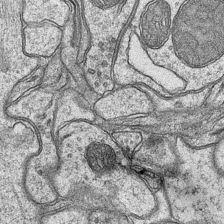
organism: Mouse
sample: CA1 Hippocampus